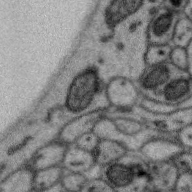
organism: Zebra finch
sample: Brain